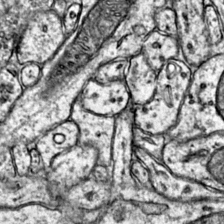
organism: Mouse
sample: Primary visual cortex